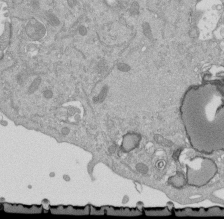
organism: Mouse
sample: ED-1 cell nuclei; centrioles